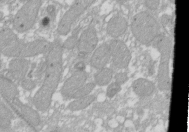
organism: Xenopus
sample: Cilia; centrioles in frog embryo cells